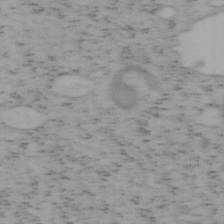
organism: Mouse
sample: OT-I killer T cells with ID8 ovarian cancer cells